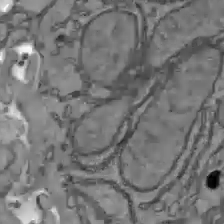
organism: C57BL Mouse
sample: Liver